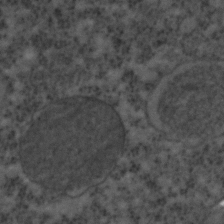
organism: C. elegans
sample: C. elegans embryo